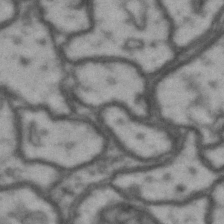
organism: Drosophila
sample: Brain